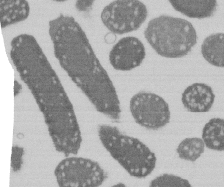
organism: E. coli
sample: Bacterial nucleoid